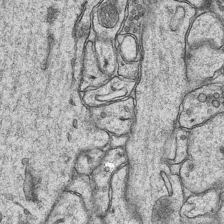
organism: Mouse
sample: CA1 Hippocampus